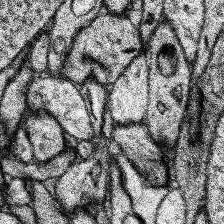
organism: Human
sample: Temporal Lobe